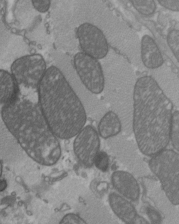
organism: C57BL Mouse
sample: Heart